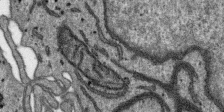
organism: Human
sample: Lung epithelial cells, uninfected (mock) control